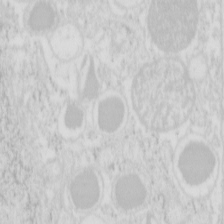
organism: Mouse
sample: Pancreas